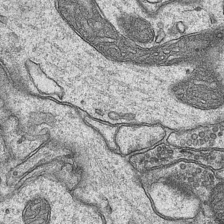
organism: Mouse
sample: CA1 Hippocampus